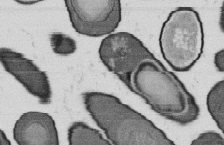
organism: B. subtilis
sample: Bacterial spore